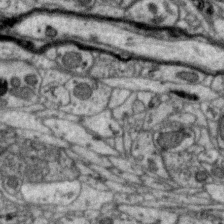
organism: Zebra finch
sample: Brain